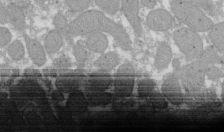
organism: Xenopus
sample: Cilia; centrioles in frog embryo cells